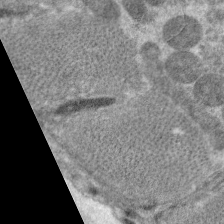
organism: C. elegans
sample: Pharynx